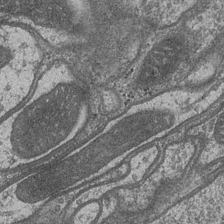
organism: Drosophila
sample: Optic medulla